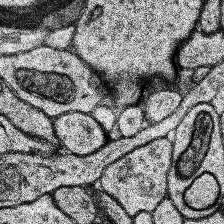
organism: Human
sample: Temporal Lobe